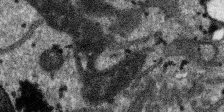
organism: Human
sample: Lung epithelial cells infected with SARS-CoV-2